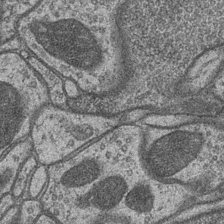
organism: Drosophila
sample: Optic medulla